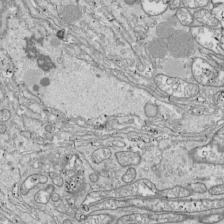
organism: Drosophila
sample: Cell division; meiosis; drosophila spermatocytes